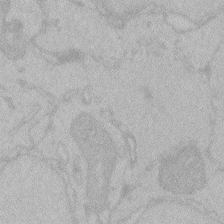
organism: Zebrafish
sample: Macrophage infected with Toxoplasma gondii